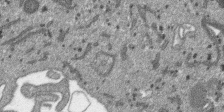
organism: Human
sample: Lung epithelial cells infected with SARS-CoV-2